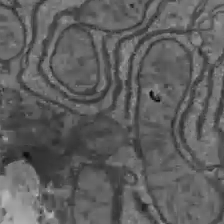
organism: C57BL Mouse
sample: Liver